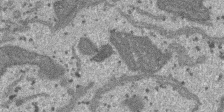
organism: Human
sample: Lung epithelial cells infected with SARS-CoV-2